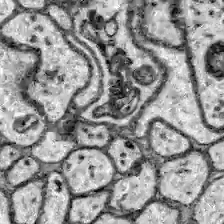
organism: Zebrafish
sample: Brain